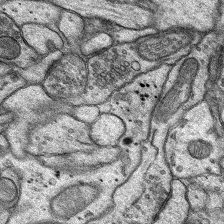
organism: Rat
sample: Hippocampus